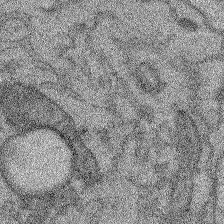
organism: Human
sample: HeLa cells